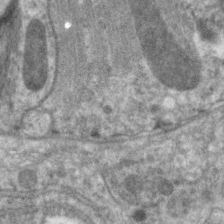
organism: C. elegans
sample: Pharynx